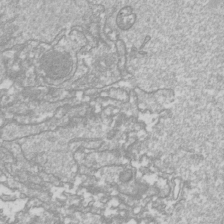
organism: Drosophila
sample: Cell division; meiosis; drosophila spermatocytes